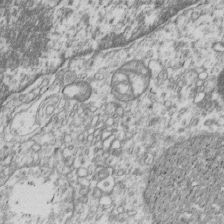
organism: Human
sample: MDA-MB-231 cells